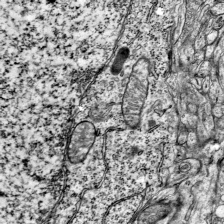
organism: Mouse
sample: Visual Cortex